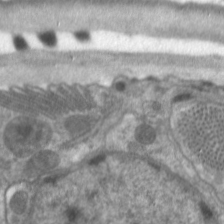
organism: C. elegans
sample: Pharynx